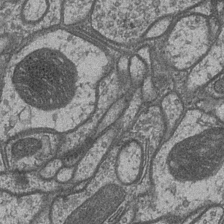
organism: Drosophila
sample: Optic medulla